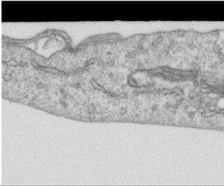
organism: Human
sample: Centriole in RPE cells